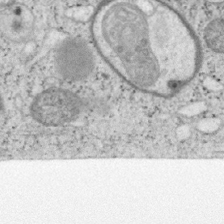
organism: Mouse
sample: OT-I killer T cells with ID8 ovarian cancer cells